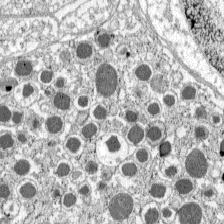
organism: C57BL Mouse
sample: Pancreatic islet